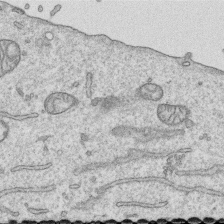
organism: Human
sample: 1205lu cells